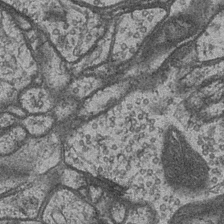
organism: Drosophila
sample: Optic medulla